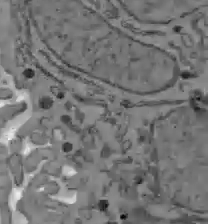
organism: C57BL Mouse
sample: Liver